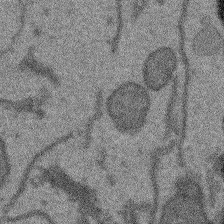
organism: Arabidopsis thaliana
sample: Root tip